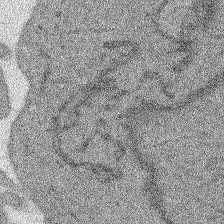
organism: Human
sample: HeLa cells